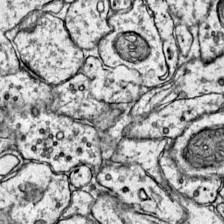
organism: Mouse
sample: Primary visual cortex